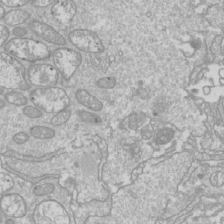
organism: Drosophila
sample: Cell division; meiosis; drosophila spermatocytes